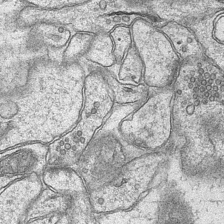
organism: Mouse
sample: CA1 Hippocampus